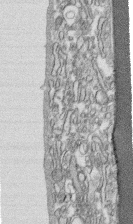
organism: Human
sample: CRL-1474